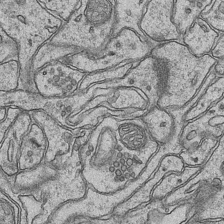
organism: Mouse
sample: CA1 Hippocampus